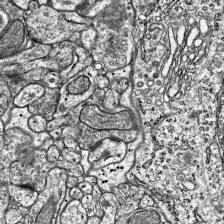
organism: Mouse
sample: Visual Cortex